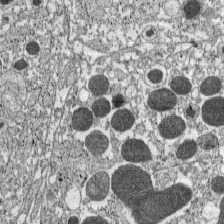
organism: C57BL Mouse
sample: Pancreatic islet